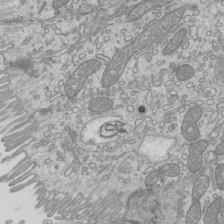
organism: Mouse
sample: Cilia; mouse epididymis